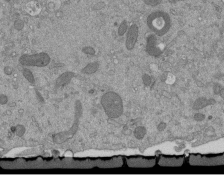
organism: Mouse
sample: ED-1 cell nuclei; centrioles